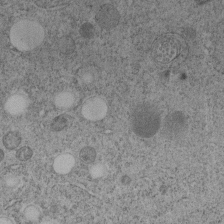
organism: C. elegans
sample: C. elegans embryo early stage